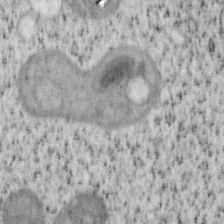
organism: Mouse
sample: OT-I killer T cells with ID8 ovarian cancer cells